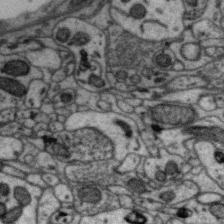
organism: Zebra finch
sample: Brain